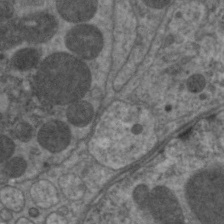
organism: C. elegans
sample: Pharynx